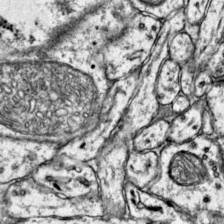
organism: Mouse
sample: Primary visual cortex